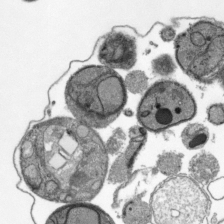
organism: Plasmodium falciparum